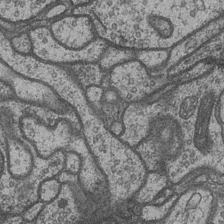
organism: Drosophila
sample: Optic medulla